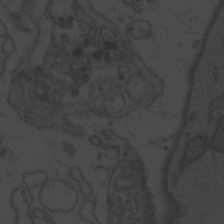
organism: Zebrafish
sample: Macrophage infected with Toxoplasma gondii